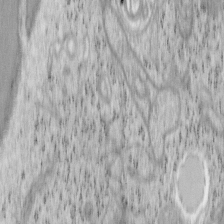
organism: Human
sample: HeLa cells